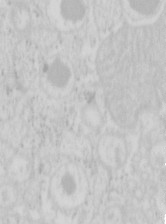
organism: Mouse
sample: Pancreas